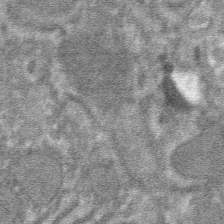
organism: Mouse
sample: Mouse hepatocytes